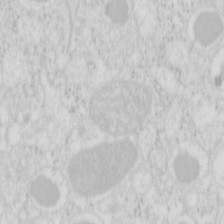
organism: Mouse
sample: Pancreas